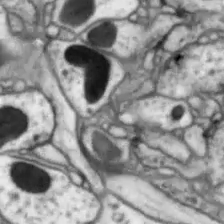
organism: Drosophila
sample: Optic lobe